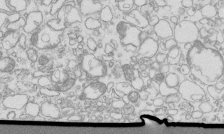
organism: Mouse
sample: Macrophages